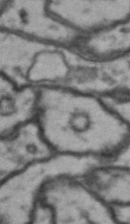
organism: Drosophila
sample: Brain